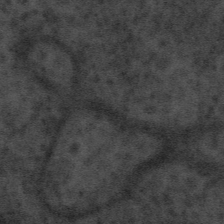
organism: Tuwongella immobilis